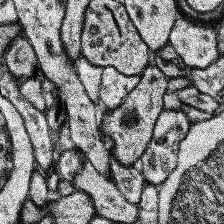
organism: Human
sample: Temporal Lobe